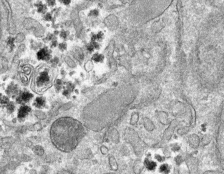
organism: Mouse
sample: Mouse hepatocytes